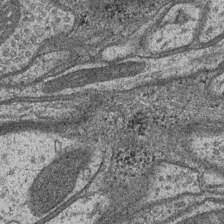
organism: Drosophila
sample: Optic medulla